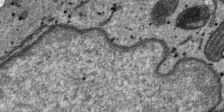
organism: Human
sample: Lung epithelial cells, uninfected (mock) control